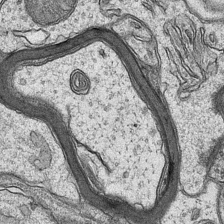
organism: Mouse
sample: CA1 Hippocampus